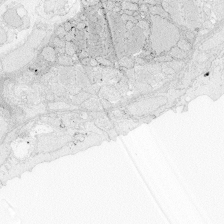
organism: Zebrafish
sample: Whole-Brain